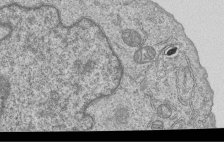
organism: Human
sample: MDA-MB-231 cells